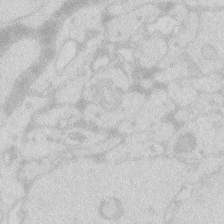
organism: Zebrafish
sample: Macrophage